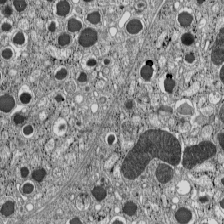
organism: C57BL Mouse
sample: Pancreatic islet